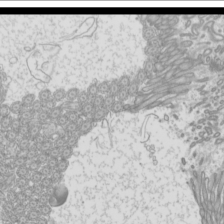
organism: Mouse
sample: Cilia; mouse epididymis